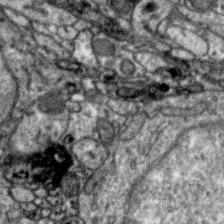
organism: Zebra finch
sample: Brain